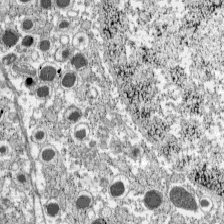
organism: C57BL Mouse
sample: Pancreatic islet